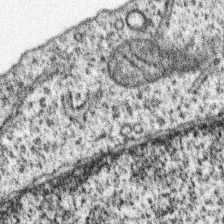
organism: Human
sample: HeLa cells